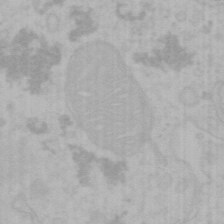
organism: Mouse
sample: Choroid plexus